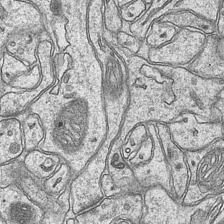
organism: Mouse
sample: CA1 Hippocampus